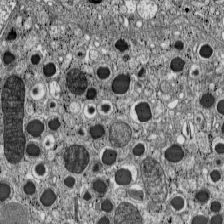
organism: C57BL Mouse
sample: Pancreatic islet